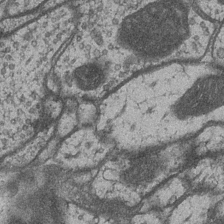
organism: Drosophila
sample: Optic medulla